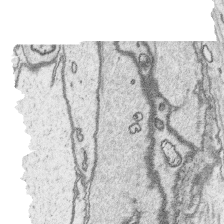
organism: Platynereis dumerilii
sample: Parapodia